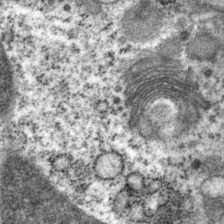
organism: P. pacificus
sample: Pharynx